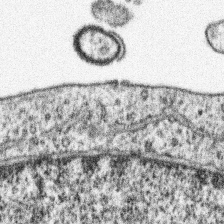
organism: Human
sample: HeLa cells